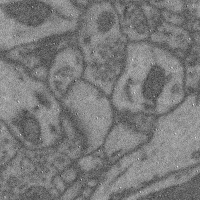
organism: Mouse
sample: Cerebral cortex